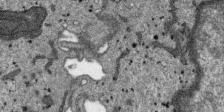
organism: Human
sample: Lung epithelial cells, uninfected (mock) control